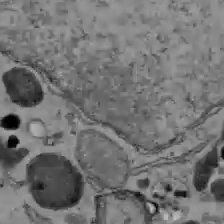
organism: C57BL Mouse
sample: Liver